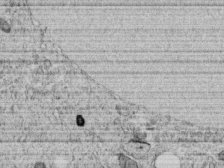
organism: C. elegans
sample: C. elegans embryo early stage